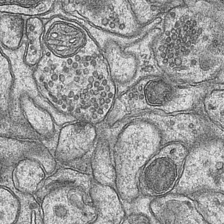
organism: Mouse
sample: CA1 Hippocampus